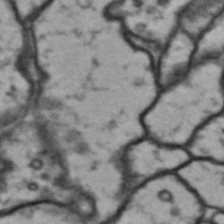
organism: Drosophila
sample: Brain